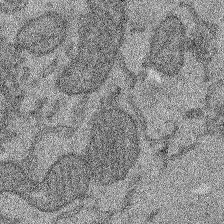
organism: Human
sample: HeLa cells